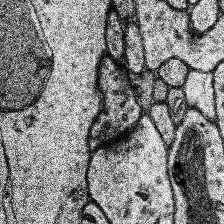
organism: Human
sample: Temporal Lobe